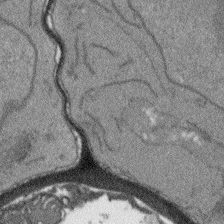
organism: Arabidopsis thaliana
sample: Root tip